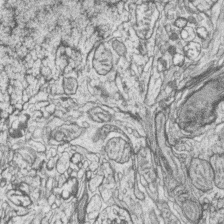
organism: Zebrafish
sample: synaptic ribbons in rod cells and cone cells